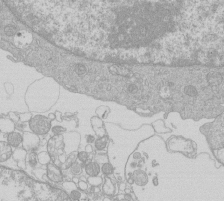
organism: Human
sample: Macrophage cells